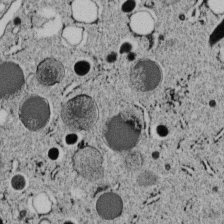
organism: C. elegans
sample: C. elegans embryo early stage